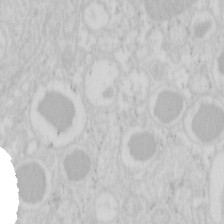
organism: Mouse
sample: Pancreas